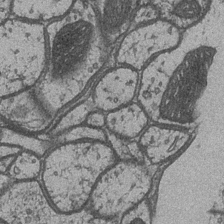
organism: Drosophila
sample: Optic medulla